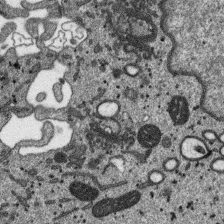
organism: Human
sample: Lung epithelial cells infected with SARS-CoV-2